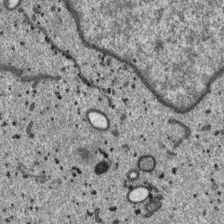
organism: Human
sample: Lung epithelial cells infected with SARS-CoV-2